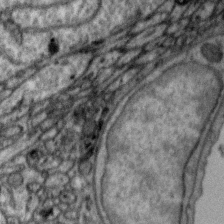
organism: Zebra finch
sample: Brain